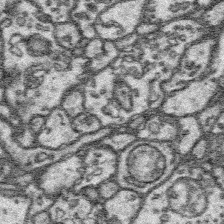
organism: Platynereis dumerilii